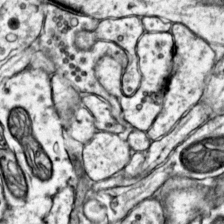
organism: Mouse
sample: Primary visual cortex